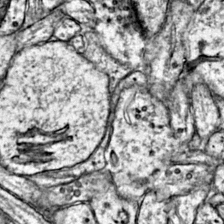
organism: Mouse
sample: Primary visual cortex